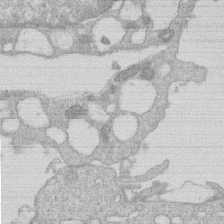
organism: Human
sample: Macrophage cells